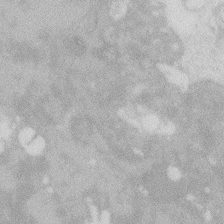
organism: Zebrafish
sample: Macrophage